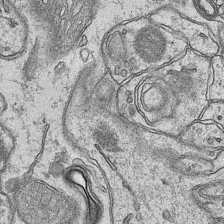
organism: Mouse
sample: CA1 Hippocampus